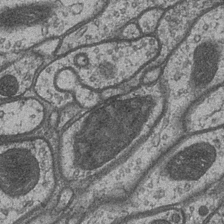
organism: Drosophila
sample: Optic medulla